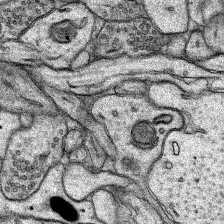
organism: Rat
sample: Hippocampus